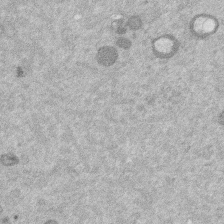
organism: Mouse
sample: Dividing mouse embryo 1 cell stage